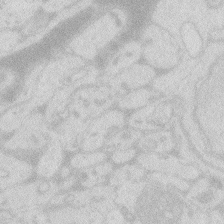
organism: Zebrafish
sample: Macrophage